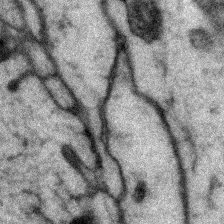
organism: Zebrafish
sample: Zebrafish embryo